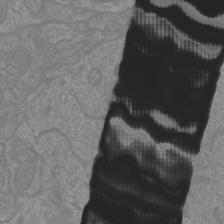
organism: Mouse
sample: Cortical neurons